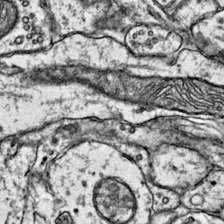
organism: Mouse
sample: Primary visual cortex